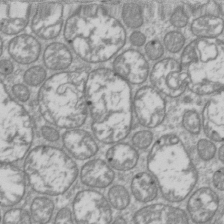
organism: Drosophila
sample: Cell division; meiosis; drosophila spermatocytes